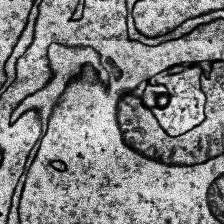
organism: Human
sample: Temporal Lobe